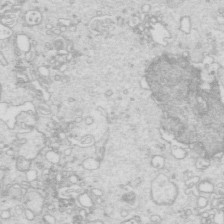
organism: Mouse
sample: Multiciliated cells